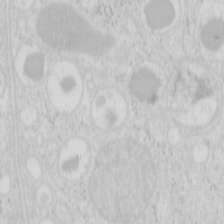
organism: Mouse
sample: Pancreas